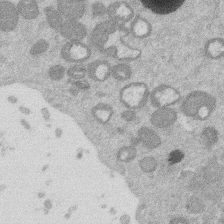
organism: Mouse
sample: Dividing mouse embryo 1 cell stage